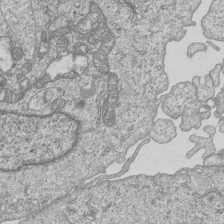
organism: Human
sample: MDA-MB-231 cells